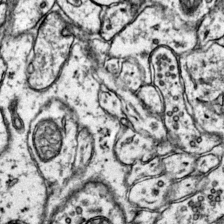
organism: Mouse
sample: Primary visual cortex